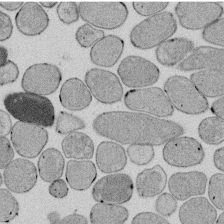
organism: E. coli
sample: Bacterial nucleoid